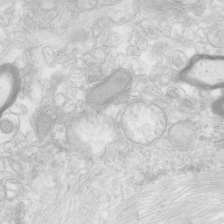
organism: Human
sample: Neocortex